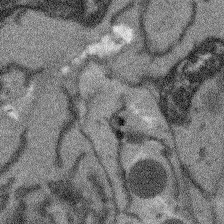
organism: Arabidopsis thaliana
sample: Root tip